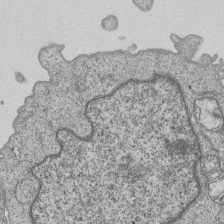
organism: Human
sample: MDA-MB-231 cells